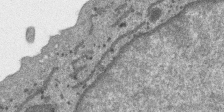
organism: Human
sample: Lung epithelial cells infected with SARS-CoV-2